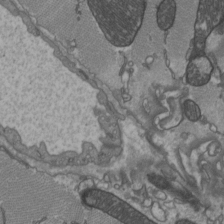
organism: C57BL Mouse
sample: Heart